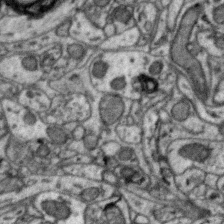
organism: Zebra finch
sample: Brain